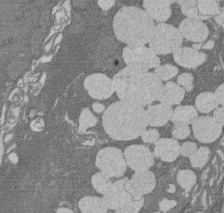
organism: Rat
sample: Salivary granule